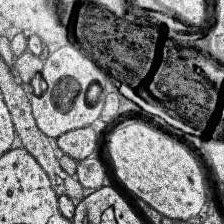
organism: Human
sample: Temporal Lobe